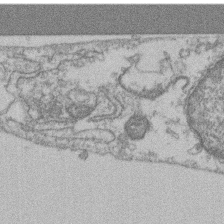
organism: Mouse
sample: T cell stromal cell synapse